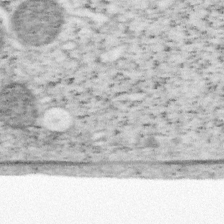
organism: Mouse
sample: OT-I killer T cells with ID8 ovarian cancer cells